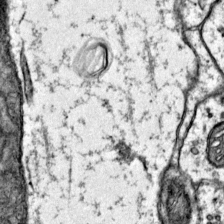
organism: Mouse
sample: Primary visual cortex